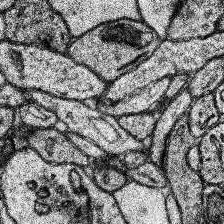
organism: Human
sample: Temporal Lobe